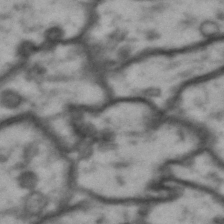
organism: Drosophila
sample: Brain